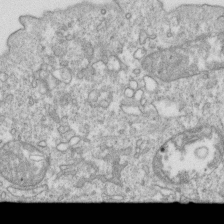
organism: Mouse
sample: Activated OT-1 CD8+ T cells